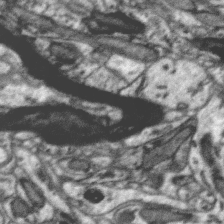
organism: Zebra finch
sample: Brain